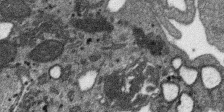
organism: Human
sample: Lung epithelial cells infected with SARS-CoV-2